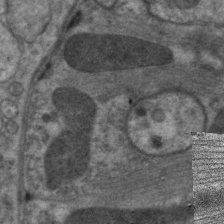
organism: C. elegans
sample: Pharynx